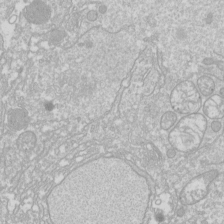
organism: Drosophila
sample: Cell division; meiosis; drosophila spermatocytes